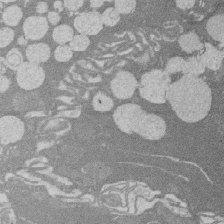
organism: Rat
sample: Salivary granule